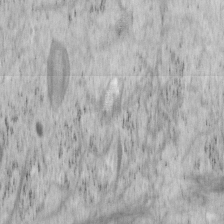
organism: Human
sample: HeLa cells